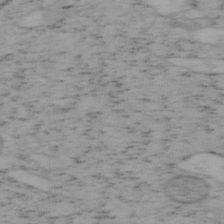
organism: Mouse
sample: OT-I killer T cells with ID8 ovarian cancer cells